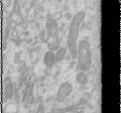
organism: Human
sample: Cilia; basal body in RPE cells